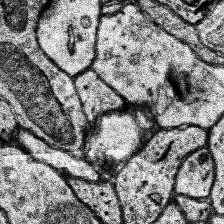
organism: Human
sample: Temporal Lobe